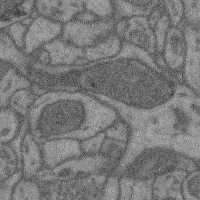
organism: Mouse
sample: Cerebral cortex